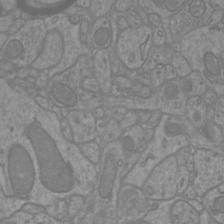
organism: Mouse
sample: Cortical neurons